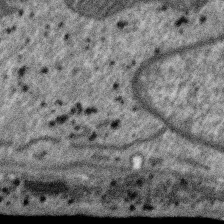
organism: Human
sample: Lung epithelial cells infected with SARS-CoV-2